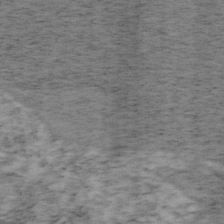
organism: Mouse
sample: OT-I killer T cells with ID8 ovarian cancer cells